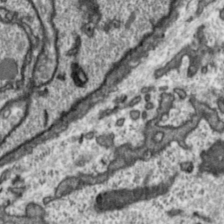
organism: Toxoplasma gondii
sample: Parasites in a vacuole inside a host cell